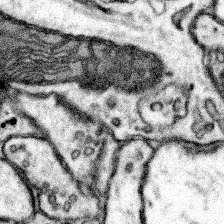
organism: Mouse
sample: Somatosensory cortex neuropil